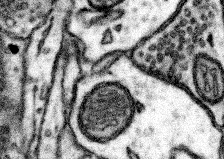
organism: Mouse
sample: Somatosensory cortex neuropil